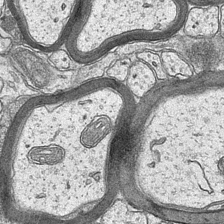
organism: Mouse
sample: CA1 Hippocampus